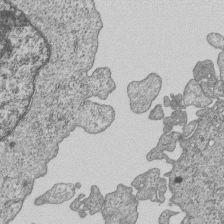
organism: Human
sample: MDA-MB-231 cells